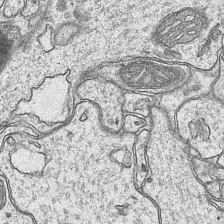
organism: Mouse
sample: CA1 Hippocampus